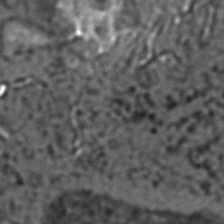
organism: C. elegans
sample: C. elegans embryo